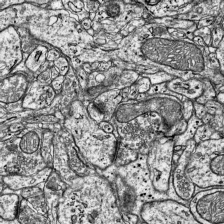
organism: Mouse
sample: Visual Cortex